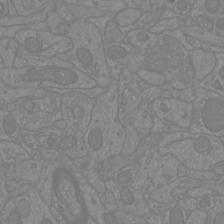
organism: Mouse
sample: Cortical neurons